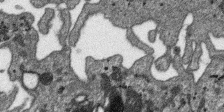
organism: Human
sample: Lung epithelial cells infected with SARS-CoV-2